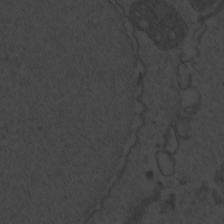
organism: Zebrafish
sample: Macrophage infected with Toxoplasma gondii